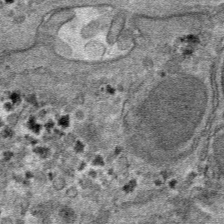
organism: Mouse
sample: Mouse hepatocytes